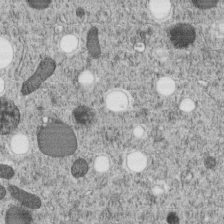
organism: C. elegans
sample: C. elegans embryo early stage